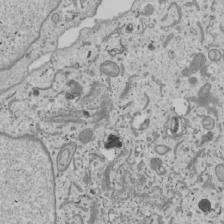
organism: Human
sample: Mitochondria in U2OS cells